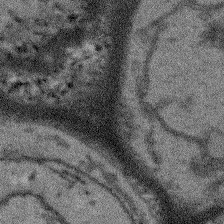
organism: Arabidopsis thaliana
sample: Root tip